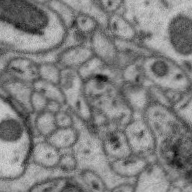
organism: Zebra finch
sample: Brain